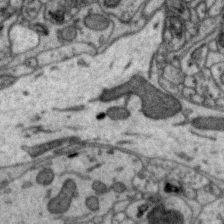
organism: Zebra finch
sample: Brain